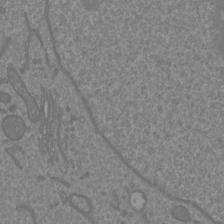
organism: Mouse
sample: Cortical neurons